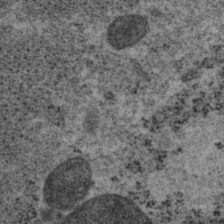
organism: P. pacificus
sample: Pharynx